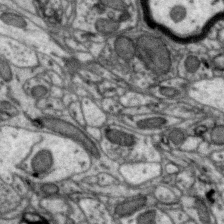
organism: Zebra finch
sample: Brain